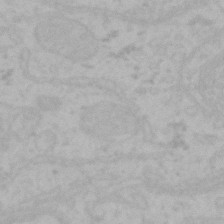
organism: Mouse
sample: Choroid plexus